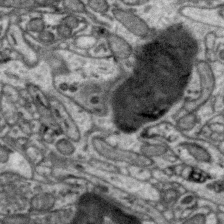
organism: Zebra finch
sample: Brain